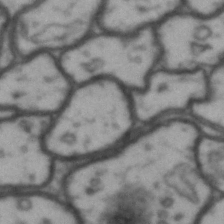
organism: Drosophila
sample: Brain